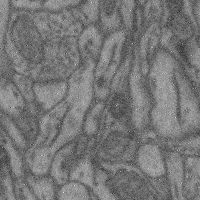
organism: Mouse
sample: Cerebral cortex